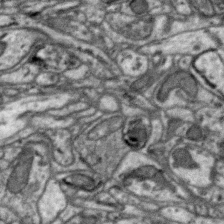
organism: Zebra finch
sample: Brain